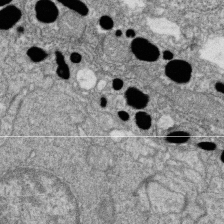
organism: Zebrafish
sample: Cilia; retinal pigment epithelium